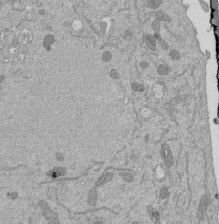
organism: Mouse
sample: ED-1 cell nuclei; centrioles